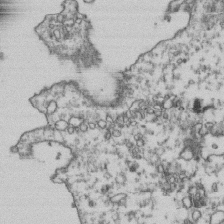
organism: Human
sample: Activated Jurkat CD4+ T cells